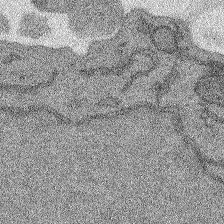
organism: Human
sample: HeLa cells